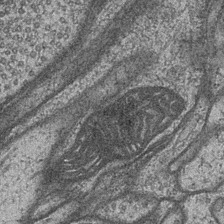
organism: Drosophila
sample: Optic medulla